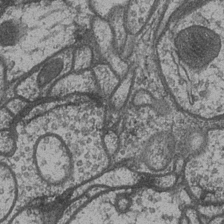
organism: Drosophila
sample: Optic medulla